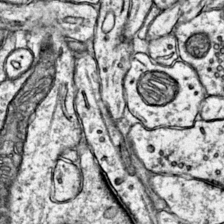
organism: Mouse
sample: Primary visual cortex